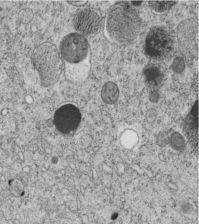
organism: C. elegans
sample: C. elegans embryo early stage